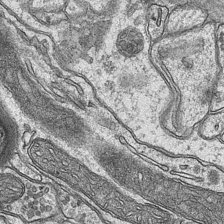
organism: Mouse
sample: CA1 Hippocampus